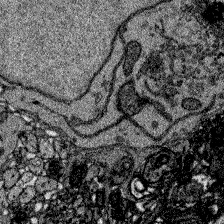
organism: Zebrafish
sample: Larval olfactory bulb